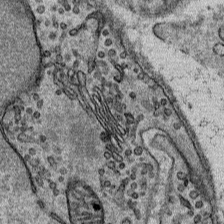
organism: Mouse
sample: Mouse Salivary gland